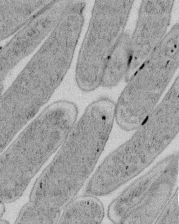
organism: E. coli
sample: Bacterial nucleoid